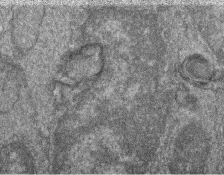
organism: Zebrafish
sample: Cilia; retinal pigment epithelium